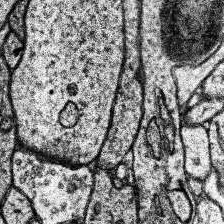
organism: Human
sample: Temporal Lobe